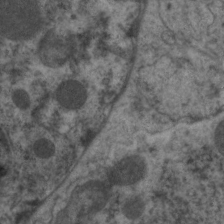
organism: C. elegans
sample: Pharynx